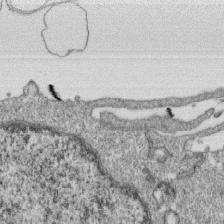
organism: African green monkey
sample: Vero E6 cells infected with SARS-CoV-2